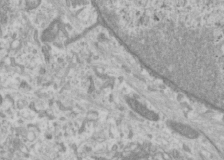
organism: Human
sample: Cilia; basal body in RPE cells